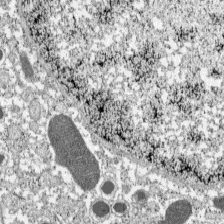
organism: C57BL Mouse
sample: Pancreatic islet